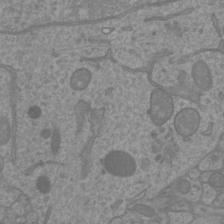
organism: Mouse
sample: Cortical neurons